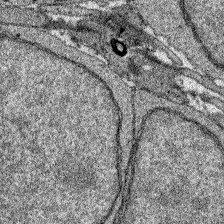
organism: Zebrafish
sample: Larval olfactory bulb